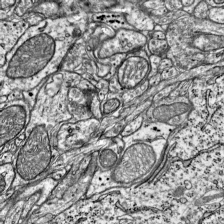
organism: Mouse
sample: Visual Cortex